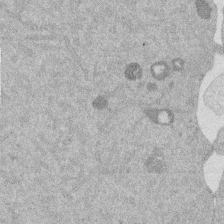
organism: Mouse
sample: Dividing mouse embryo 1 cell stage